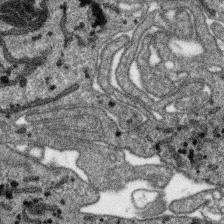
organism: Human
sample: Lung epithelial cells infected with SARS-CoV-2